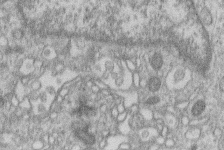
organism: Human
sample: Macrophage cells